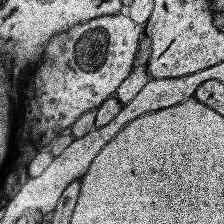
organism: Human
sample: Temporal Lobe